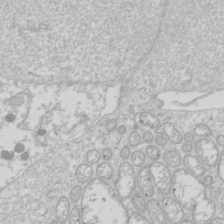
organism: Drosophila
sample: Cell division; meiosis; drosophila spermatocytes